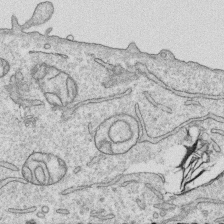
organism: Human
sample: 1205lu cells